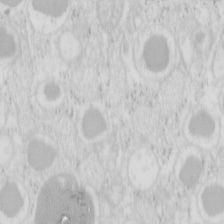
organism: Mouse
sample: Pancreas